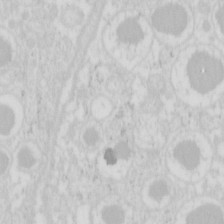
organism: Mouse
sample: Pancreas